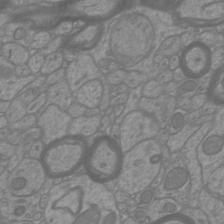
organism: Mouse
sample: Cortical neurons